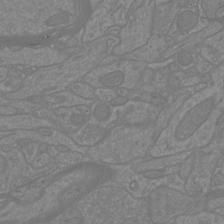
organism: Mouse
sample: Cortical neurons